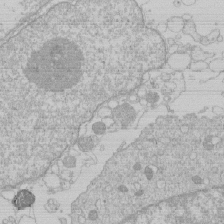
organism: Human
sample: Macrophage cells